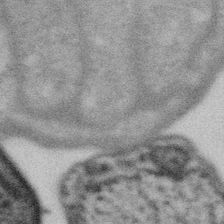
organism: Gemmata obscuriglobus